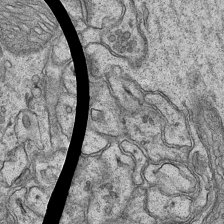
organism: Mouse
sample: CA1 Hippocampus